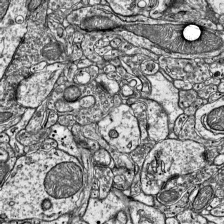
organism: Mouse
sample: Visual Cortex